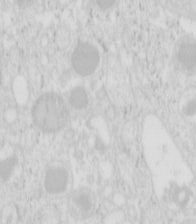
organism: Mouse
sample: Pancreas